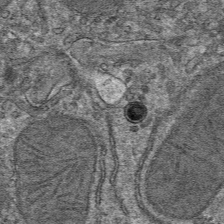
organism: Mouse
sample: Mouse hepatocytes